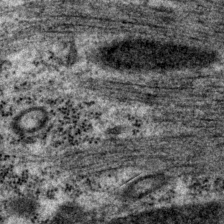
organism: P. pacificus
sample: Pharynx